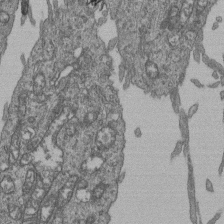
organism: Human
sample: Retinal organoid Rod and Cone cells